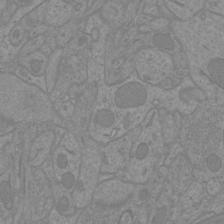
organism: Mouse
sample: Cortical neurons